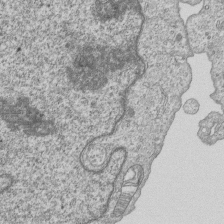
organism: Human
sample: MDA-MB-231 cells